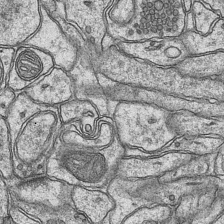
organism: Mouse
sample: CA1 Hippocampus